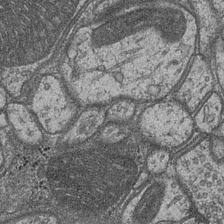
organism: Drosophila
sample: Optic medulla